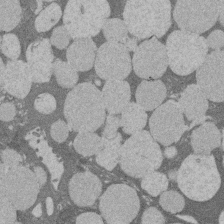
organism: Rat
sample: Salivary granule